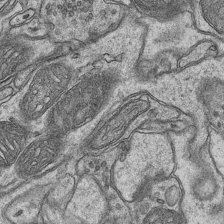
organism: Mouse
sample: CA1 Hippocampus